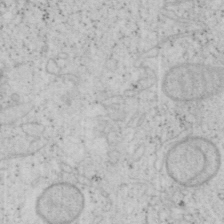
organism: Human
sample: HeLa cells